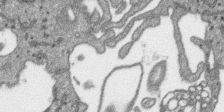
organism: Human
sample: Lung epithelial cells infected with SARS-CoV-2